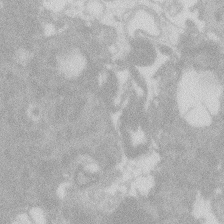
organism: Zebrafish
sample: Macrophage